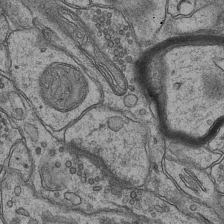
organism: Mouse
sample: CA1 Hippocampus